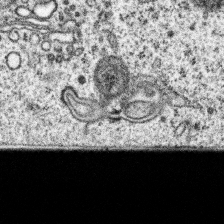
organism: Human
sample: HeLa cells